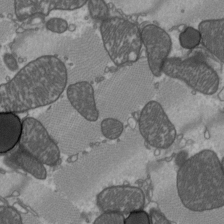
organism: C57BL Mouse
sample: Heart